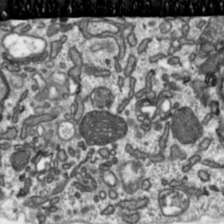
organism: Toxoplasma gondii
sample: Parasites in a vacuole inside a host cell